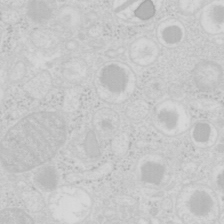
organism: Mouse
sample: Pancreas